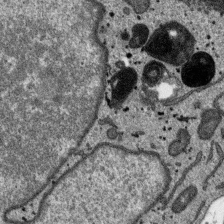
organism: Human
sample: Lung epithelial cells, uninfected (mock) control